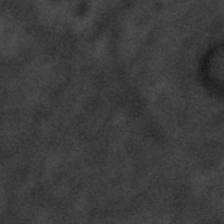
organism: Tuwongella immobilis